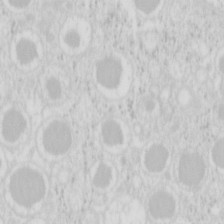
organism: Mouse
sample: Pancreas